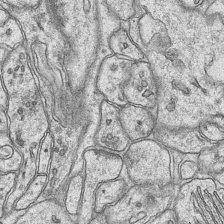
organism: Mouse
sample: CA1 Hippocampus